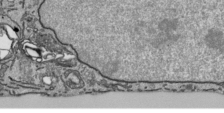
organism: Human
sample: Mitochondria in HCT116 cells